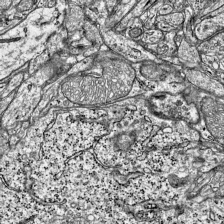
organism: Mouse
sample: Visual Cortex